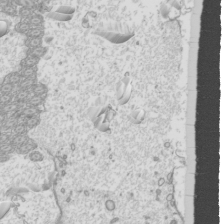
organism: Mouse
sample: Cilia; mouse epididymis